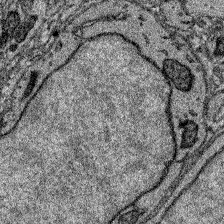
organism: Zebrafish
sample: Larval olfactory bulb